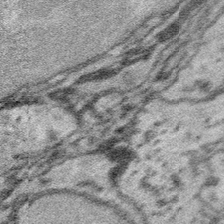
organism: Platynereis dumerilii